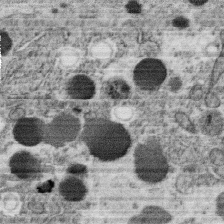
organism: C. elegans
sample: C. elegans oocyte; sperm cells